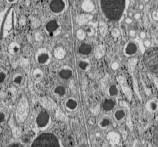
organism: C57BL Mouse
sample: Pancreatic islet